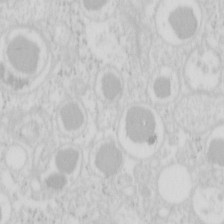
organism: Mouse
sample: Pancreas